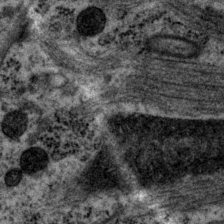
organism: P. pacificus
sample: Pharynx